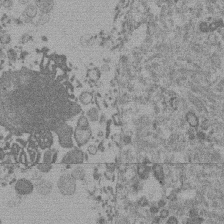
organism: Mouse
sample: Dividing mouse embryo 1 cell stage